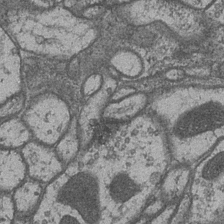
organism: Drosophila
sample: Optic medulla